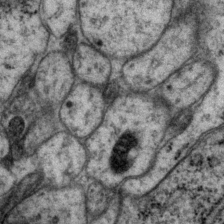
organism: P. pacificus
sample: Pharynx